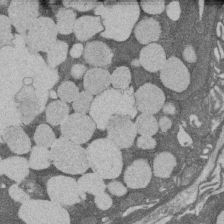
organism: Rat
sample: Salivary granule